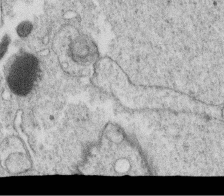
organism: C. elegans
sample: C. elegans oocyte; sperm cells